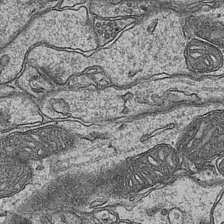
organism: Mouse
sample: CA1 Hippocampus